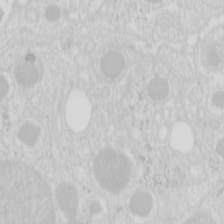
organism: Mouse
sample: Pancreas